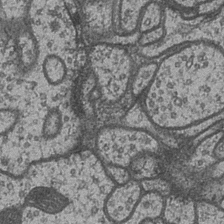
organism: Drosophila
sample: Optic medulla